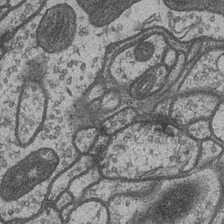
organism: Drosophila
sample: Optic medulla